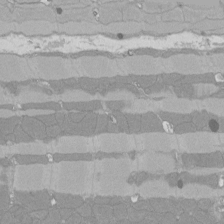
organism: Rat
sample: Left ventricle